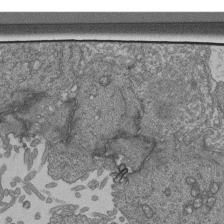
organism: Human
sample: Retinal organoid Rod and Cone cells